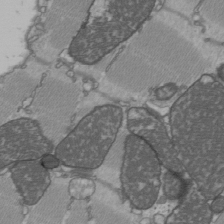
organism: C57BL Mouse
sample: Heart